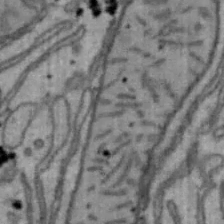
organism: Mouse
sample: Liver